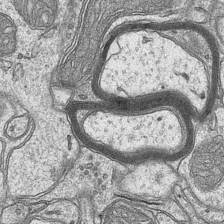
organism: Mouse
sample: CA1 Hippocampus